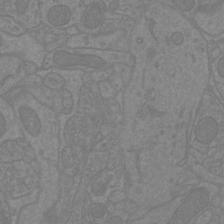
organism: Mouse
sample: Cortical neurons